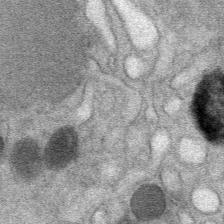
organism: Mouse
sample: Mouse Salivary gland